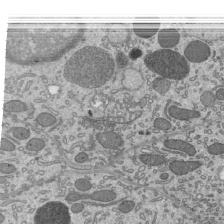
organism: Mouse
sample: Mouse epididymis efferent ductule cilia